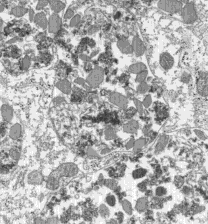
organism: C57BL Mouse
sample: Pancreatic islet